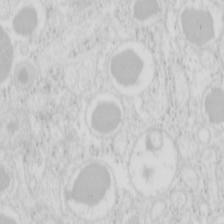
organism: Mouse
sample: Pancreas